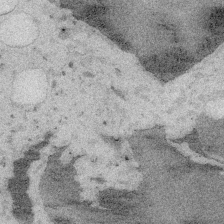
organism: Embia sp.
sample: Silk gland